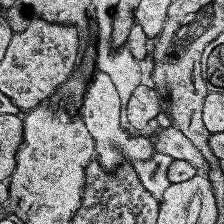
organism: Human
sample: Temporal Lobe